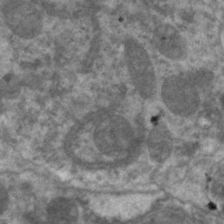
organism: C. elegans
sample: Pharynx